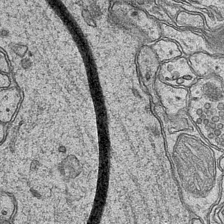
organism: Mouse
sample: CA1 Hippocampus